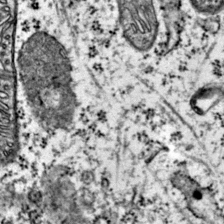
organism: Mouse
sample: Primary visual cortex